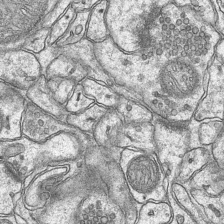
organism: Mouse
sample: CA1 Hippocampus